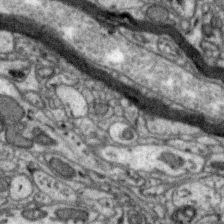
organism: Zebra finch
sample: Brain